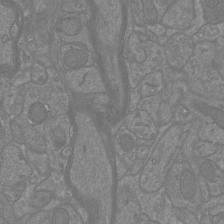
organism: Mouse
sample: Cortical neurons